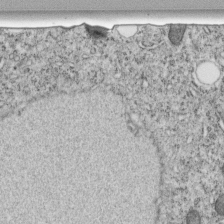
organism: C. elegans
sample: C. elegans embryo early stage